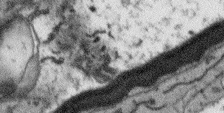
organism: Arabidopsis thaliana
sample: Root tip